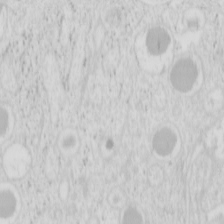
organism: Mouse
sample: Pancreas